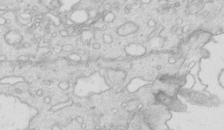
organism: Mouse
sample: Multiciliated cells